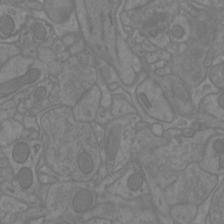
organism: Mouse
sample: Cortical neurons